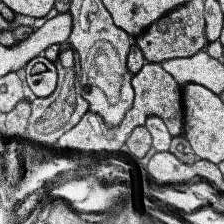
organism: Human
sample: Temporal Lobe